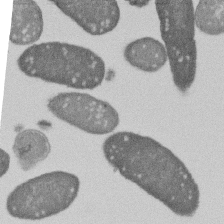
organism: E. coli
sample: Bacterial nucleoid